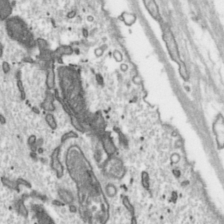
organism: Toxoplasma gondii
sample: Parasites in a vacuole inside a host cell